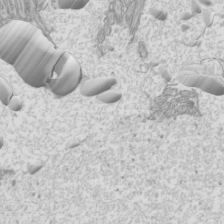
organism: Mouse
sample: Cilia; mouse epididymis